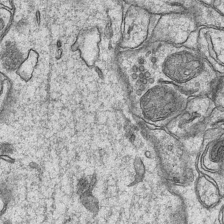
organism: Mouse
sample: CA1 Hippocampus